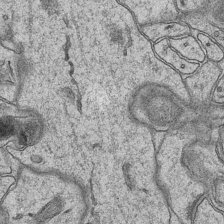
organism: Mouse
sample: CA1 Hippocampus